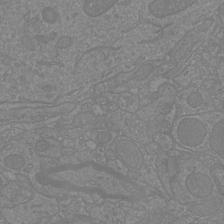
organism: Mouse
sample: Cortical neurons